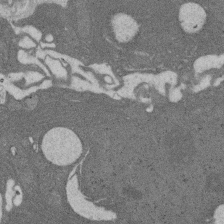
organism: Rat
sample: Salivary granule